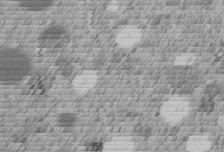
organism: C. elegans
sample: C. elegans embryo early stage